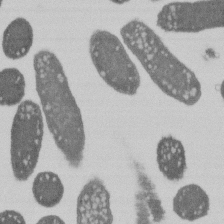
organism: E. coli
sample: Bacterial nucleoid